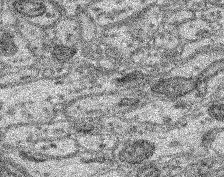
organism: Mouse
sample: Retina